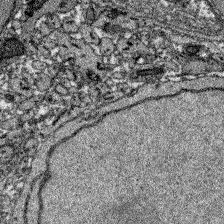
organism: Zebrafish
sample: Larval olfactory bulb